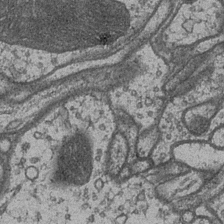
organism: Drosophila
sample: Optic medulla